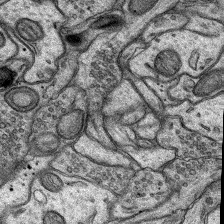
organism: Rat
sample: Hippocampus